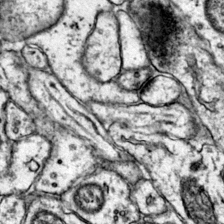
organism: Mouse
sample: Primary visual cortex